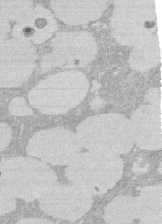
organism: Rat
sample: Salivary granule